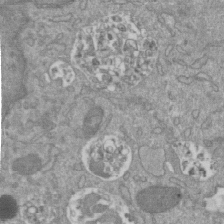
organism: Mouse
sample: ED-1 cell nuclei; centrioles